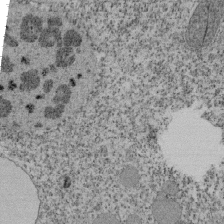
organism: Tetrahymena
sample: Cilia in tetrahymena